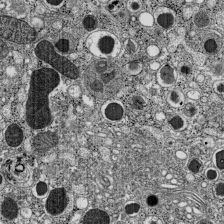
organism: C57BL Mouse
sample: Pancreatic islet